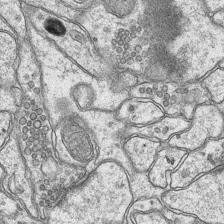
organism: Mouse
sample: CA1 Hippocampus